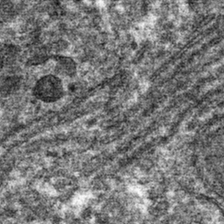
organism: Mouse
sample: Mouse hepatocytes